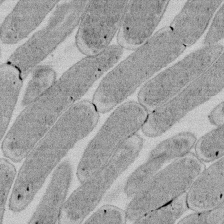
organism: E. coli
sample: Bacterial nucleoid